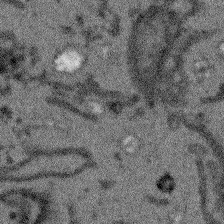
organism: Arabidopsis thaliana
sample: Root tip